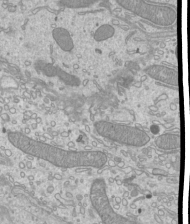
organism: Mouse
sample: Cilia; mouse epididymis